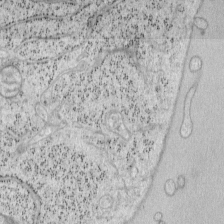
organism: Mouse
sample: OT-I killer T cells with ID8 ovarian cancer cells